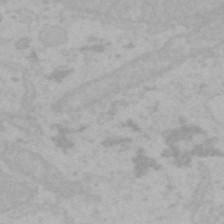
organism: Mouse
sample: Choroid plexus